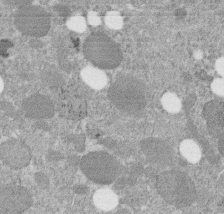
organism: C. elegans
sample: C. elegans embryo early stage